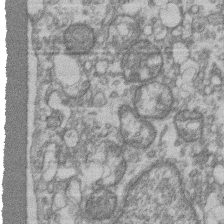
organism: Mouse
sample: T cell stromal cell synapse